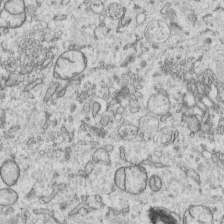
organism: Human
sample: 1205lu cells